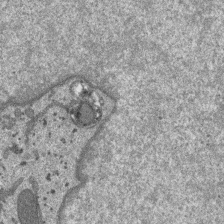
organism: Human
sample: Lung epithelial cells infected with SARS-CoV-2